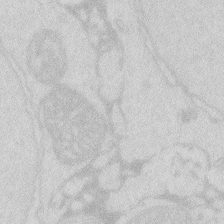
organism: Zebrafish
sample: Macrophage